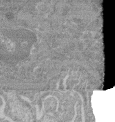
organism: Mouse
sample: Glomerulus